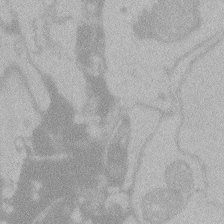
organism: Zebrafish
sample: Macrophage infected with Toxoplasma gondii